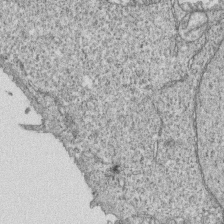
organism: Human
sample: HeLa cell HIV synapse